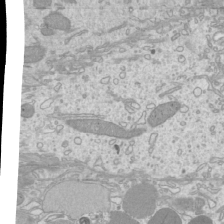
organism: Mouse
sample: Cilia; mouse epididymis